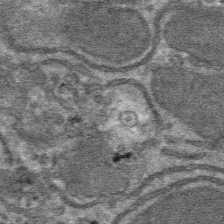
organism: Mouse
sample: Mouse hepatocytes